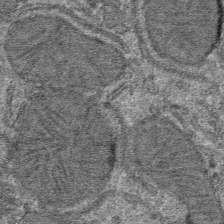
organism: Mouse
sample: Mouse hepatocytes